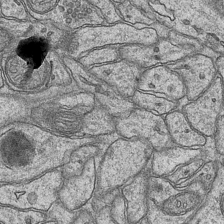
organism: Mouse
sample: CA1 Hippocampus